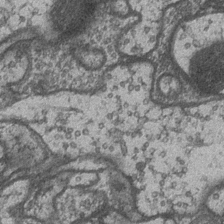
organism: Drosophila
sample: Optic medulla